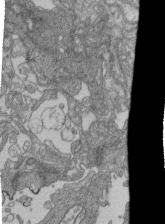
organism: Human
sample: Retinal organoid Rod and Cone cells